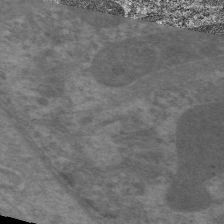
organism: C. elegans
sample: Pharynx